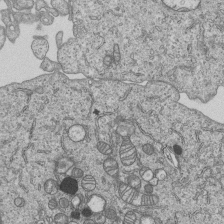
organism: Human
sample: MDA-MB-231 cells